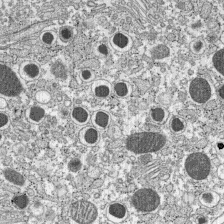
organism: C57BL Mouse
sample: Pancreatic islet